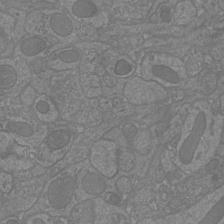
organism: Mouse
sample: Cortical neurons